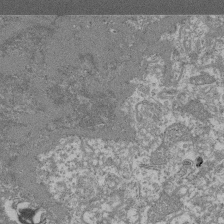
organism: Mouse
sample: Glomerulus